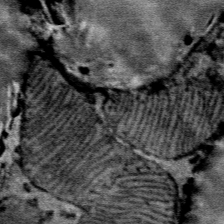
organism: Mouse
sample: Mouse Salivary gland